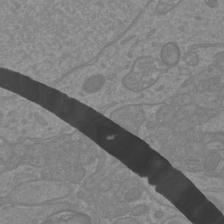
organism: Mouse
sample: Cortical neurons